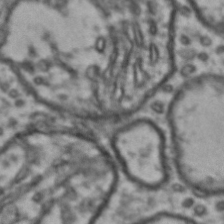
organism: Drosophila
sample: Brain